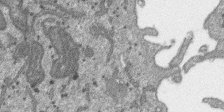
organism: Human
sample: Lung epithelial cells infected with SARS-CoV-2